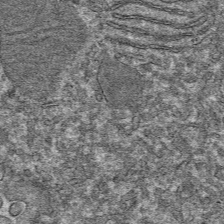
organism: Mouse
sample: Mouse hepatocytes